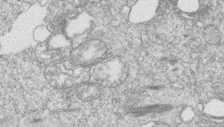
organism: Human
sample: HeLa cell HIV synapse